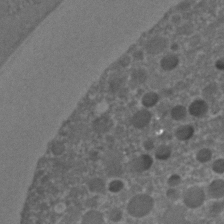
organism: C. elegans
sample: C. elegans embryo